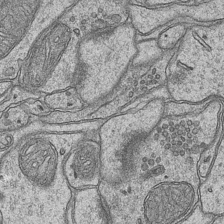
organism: Mouse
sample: CA1 Hippocampus